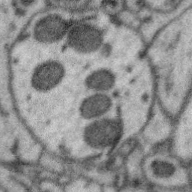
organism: Zebra finch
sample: Brain